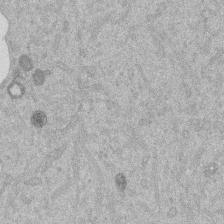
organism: Mouse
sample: Dividing mouse embryo 1 cell stage